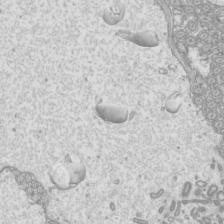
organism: Mouse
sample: Cilia; mouse epididymis